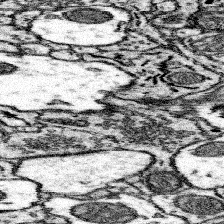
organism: Mouse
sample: Somatosensory cortex neuropil